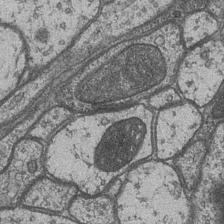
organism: Drosophila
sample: Optic medulla